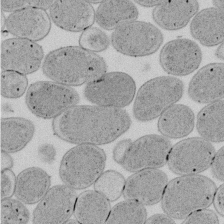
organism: E. coli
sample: Bacterial nucleoid